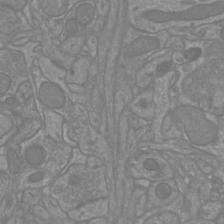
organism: Mouse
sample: Cortical neurons